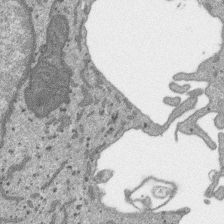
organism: Human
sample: Lung epithelial cells infected with SARS-CoV-2